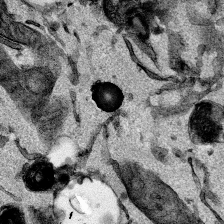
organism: Mouse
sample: Cancer cell death in ED-1 cells